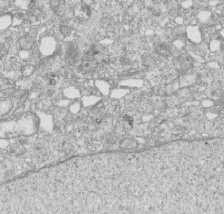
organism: Human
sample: HeLa cell HIV synapse